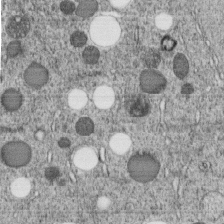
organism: C. elegans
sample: C. elegans embryo early stage